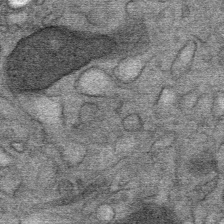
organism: Mouse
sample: Mouse Salivary gland